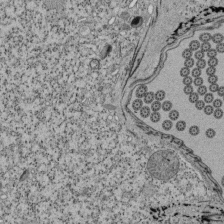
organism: Tetrahymena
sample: Cilia in tetrahymena